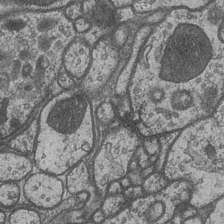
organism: Drosophila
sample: Optic medulla